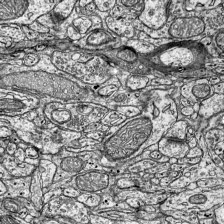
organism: Mouse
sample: Visual Cortex